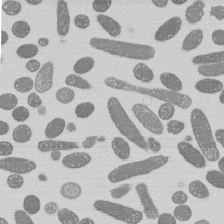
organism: E. coli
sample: Bacterial nucleoid